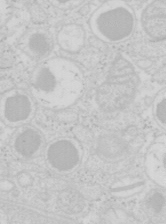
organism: Mouse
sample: Pancreas